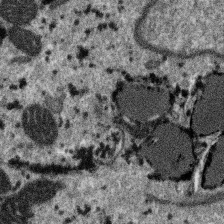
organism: Human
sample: Lung epithelial cells infected with SARS-CoV-2